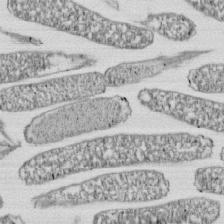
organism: E. coli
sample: Bacterial nucleoid